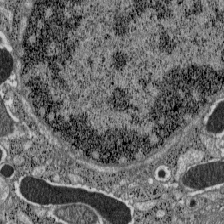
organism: C57BL Mouse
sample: Pancreatic islet